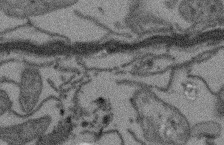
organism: Arabidopsis thaliana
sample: Root tip